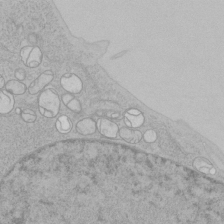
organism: Human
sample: Mitochondria in HCT116 cells